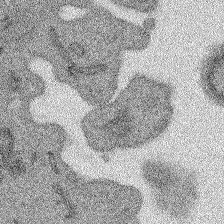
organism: Human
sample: HeLa cells